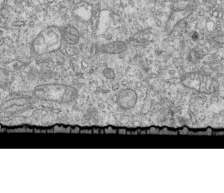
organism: Human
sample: HeLa cell HIV synapse